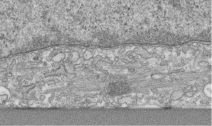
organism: Human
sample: Centriole in RPE cells